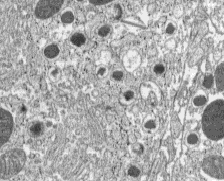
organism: C57BL Mouse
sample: Pancreatic islet